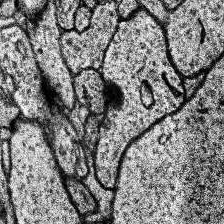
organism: Human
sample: Temporal Lobe